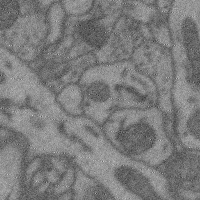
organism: Mouse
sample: Cerebral cortex